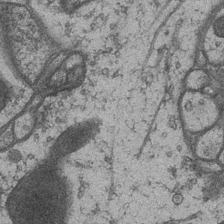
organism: Drosophila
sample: Optic medulla